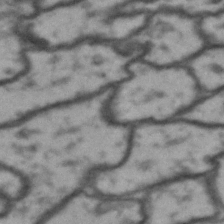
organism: Drosophila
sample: Brain